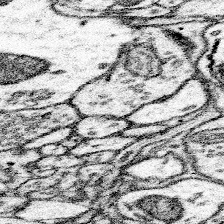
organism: Mouse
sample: Somatosensory cortex neuropil